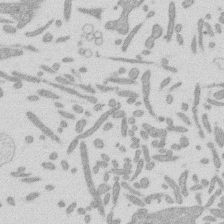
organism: Mouse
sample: Dividing mouse embryo 1 cell stage